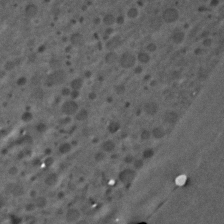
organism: C. elegans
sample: C. elegans embryo